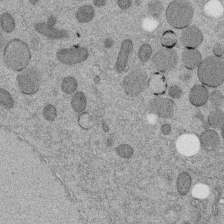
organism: C. elegans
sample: C. elegans embryo early stage